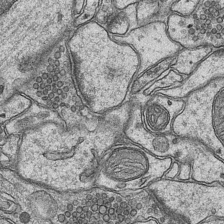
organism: Mouse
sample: CA1 Hippocampus